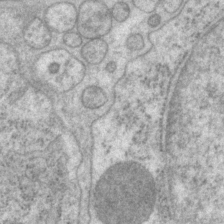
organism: P. pacificus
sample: Pharynx